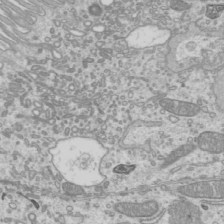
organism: Mouse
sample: Cilia; mouse epididymis